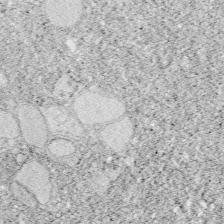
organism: Zebrafish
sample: Whole-Brain